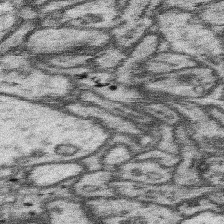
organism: Mouse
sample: Somatosensory cortex neuropil